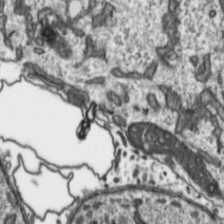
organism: Toxoplasma gondii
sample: Parasites in a vacuole inside a host cell